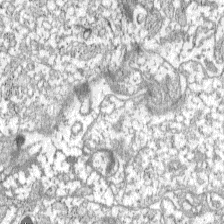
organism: C57BL Mouse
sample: Pancreatic islet